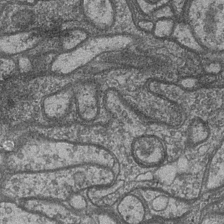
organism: Drosophila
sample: Optic medulla